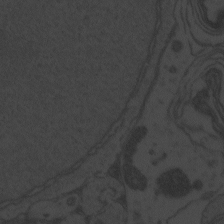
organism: Zebrafish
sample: Macrophage infected with Toxoplasma gondii